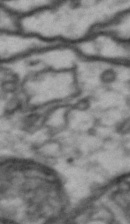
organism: Drosophila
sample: Brain